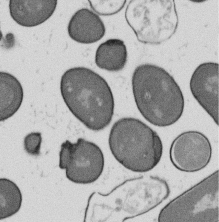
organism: B. subtilis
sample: Bacterial spore